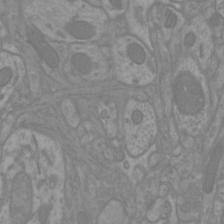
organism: Mouse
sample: Cortical neurons